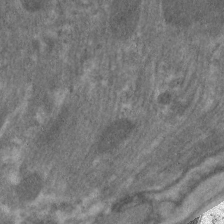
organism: C. elegans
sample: Pharynx